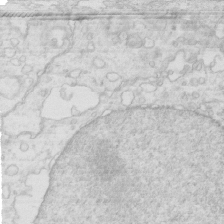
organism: Mouse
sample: Multiciliated cells